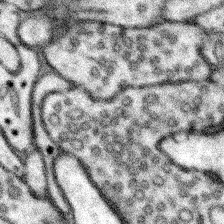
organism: Mouse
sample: Somatosensory cortex neuropil